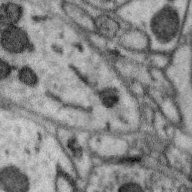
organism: Zebra finch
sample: Brain